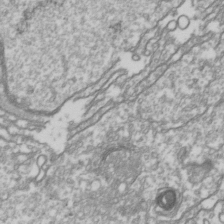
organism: Drosophila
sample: Cell division; meiosis; drosophila spermatocytes